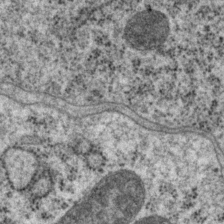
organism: P. pacificus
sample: Pharynx